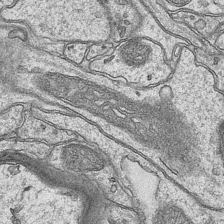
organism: Mouse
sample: CA1 Hippocampus